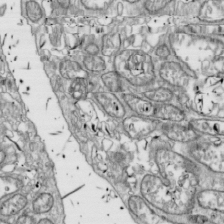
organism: Drosophila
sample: Cell division; meiosis; drosophila spermatocytes